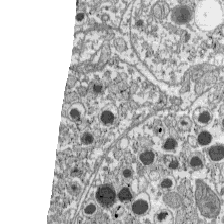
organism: C57BL Mouse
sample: Pancreatic islet